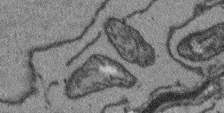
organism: Arabidopsis thaliana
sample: Root tip